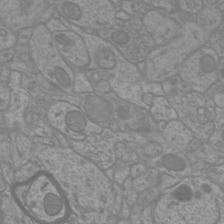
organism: Mouse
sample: Cortical neurons